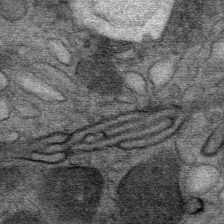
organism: Mouse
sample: Mouse Salivary gland